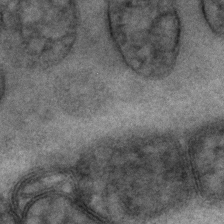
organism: C. elegans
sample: C. elegans embryo